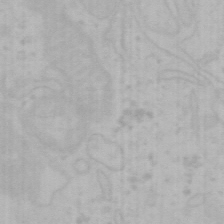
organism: Mouse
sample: Choroid plexus